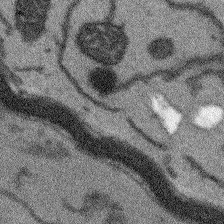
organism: Arabidopsis thaliana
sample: Root tip